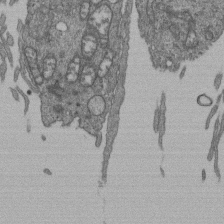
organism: Human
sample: Retinal organoid Rod and Cone cells